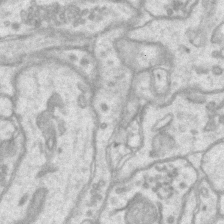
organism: Mouse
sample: CA1 Hippocampus